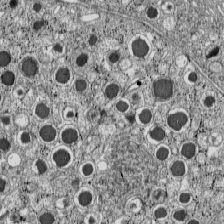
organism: C57BL Mouse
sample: Pancreatic islet